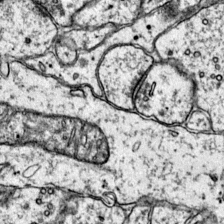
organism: Mouse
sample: Primary visual cortex